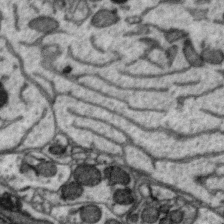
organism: Zebra finch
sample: Brain